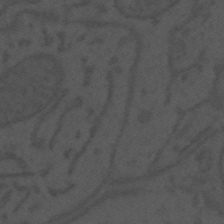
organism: Mouse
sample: Suprachiasmatic nucleus